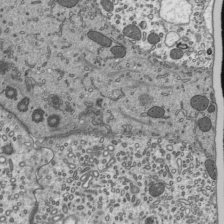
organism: Mouse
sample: Mouse epididymis efferent ductule cilia